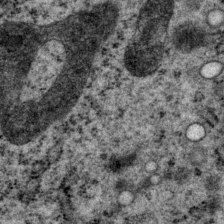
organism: P. pacificus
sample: Pharynx